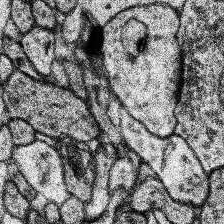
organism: Human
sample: Temporal Lobe